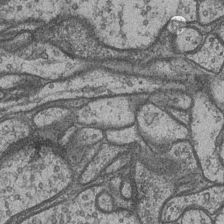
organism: Drosophila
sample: Optic medulla